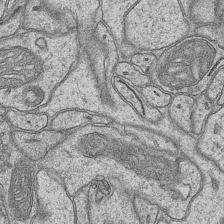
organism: Mouse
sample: CA1 Hippocampus